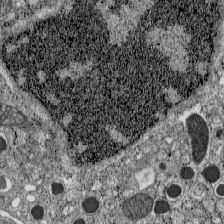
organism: C57BL Mouse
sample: Pancreatic islet